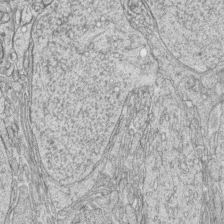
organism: Zebrafish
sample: synaptic ribbons in rod cells and cone cells